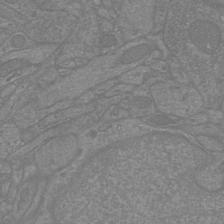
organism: Mouse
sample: Cortical neurons